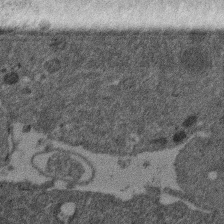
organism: Mouse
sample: Dividing mouse embryo 1 cell stage